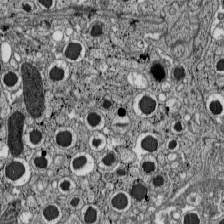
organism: C57BL Mouse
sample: Pancreatic islet